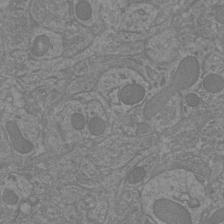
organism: Mouse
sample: Cortical neurons